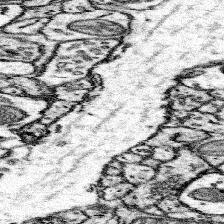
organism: Mouse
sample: Somatosensory cortex neuropil